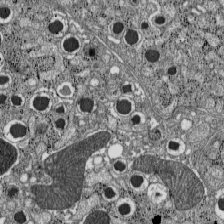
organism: C57BL Mouse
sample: Pancreatic islet